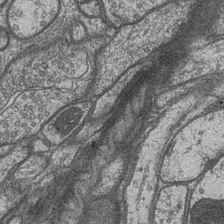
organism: Drosophila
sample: Optic medulla